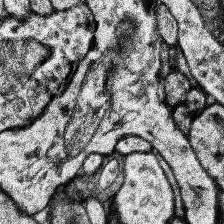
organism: Human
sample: Temporal Lobe